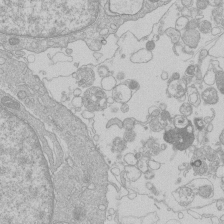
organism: Human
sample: Macrophage cells